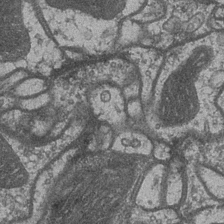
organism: Drosophila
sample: Optic medulla